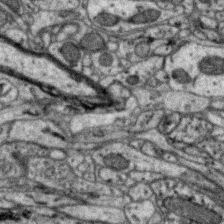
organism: Zebra finch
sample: Brain